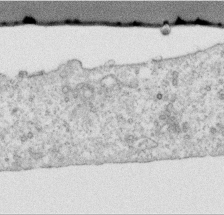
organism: Human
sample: Centriole in RPE cells